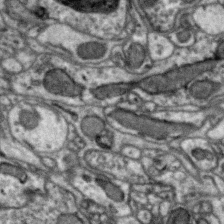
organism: Zebra finch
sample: Brain